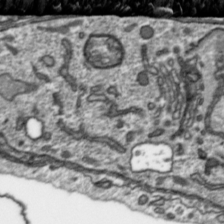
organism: Toxoplasma gondii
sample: Parasites in a vacuole inside a host cell